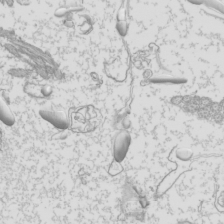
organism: Mouse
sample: Cilia; mouse epididymis